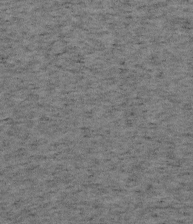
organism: Mouse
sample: OT-I killer T cells with ID8 ovarian cancer cells